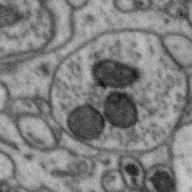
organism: Zebra finch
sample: Brain